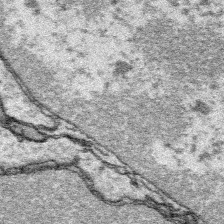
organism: Platynereis dumerilii